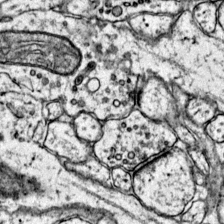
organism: Mouse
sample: Primary visual cortex